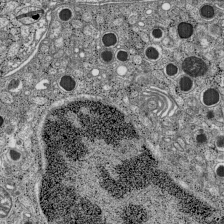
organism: C57BL Mouse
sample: Pancreatic islet